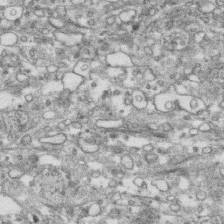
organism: Human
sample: CRL-1474